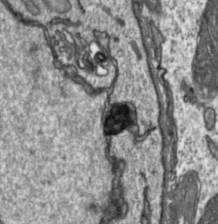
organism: Toxoplasma gondii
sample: Parasites in a vacuole inside a host cell